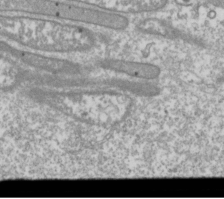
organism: Drosophila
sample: Cell division; meiosis; drosophila spermatocytes